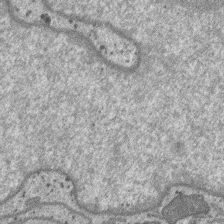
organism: Human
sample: Lung epithelial cells infected with SARS-CoV-2